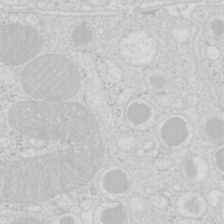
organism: Mouse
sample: Pancreas